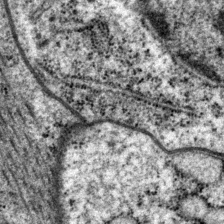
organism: P. pacificus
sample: Pharynx